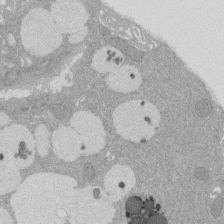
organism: Rat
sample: Salivary granule